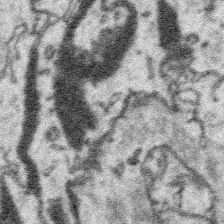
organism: Platynereis dumerilii